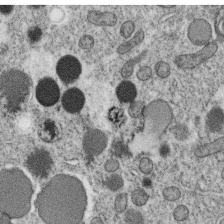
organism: C. elegans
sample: C. elegans oocyte; sperm cells